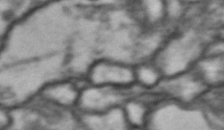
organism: Drosophila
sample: Brain